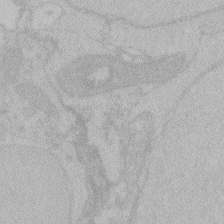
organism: Zebrafish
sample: Macrophage infected with Toxoplasma gondii